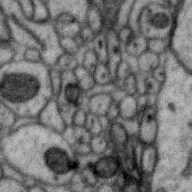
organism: Zebra finch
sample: Brain